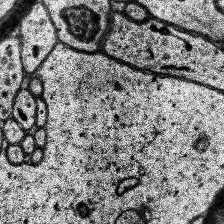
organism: Human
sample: Temporal Lobe